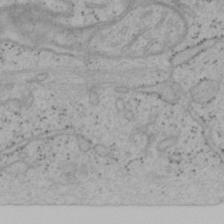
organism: Human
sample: HeLa cells